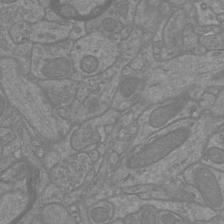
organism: Mouse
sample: Cortical neurons